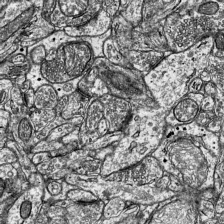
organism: Mouse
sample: Visual Cortex